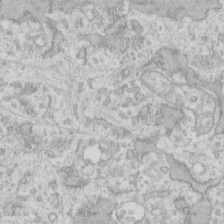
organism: Human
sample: Fibroblast cells